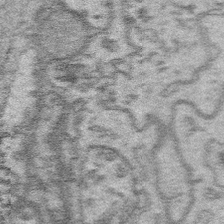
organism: Platynereis dumerilii